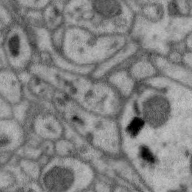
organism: Zebra finch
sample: Brain